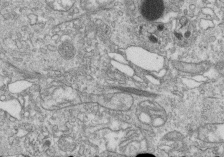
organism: Human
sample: HeLa cell HIV synapse